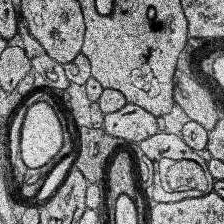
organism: Human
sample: Temporal Lobe